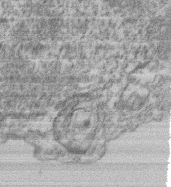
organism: Mouse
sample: T cell stromal cell synapse